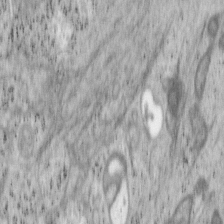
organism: Human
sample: HeLa cells